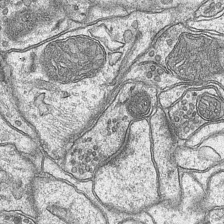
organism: Mouse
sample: CA1 Hippocampus